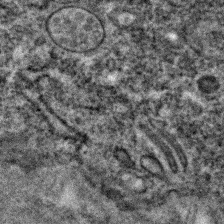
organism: C. elegans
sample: C. elegans embryo